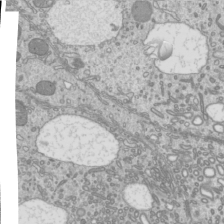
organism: Mouse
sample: Cilia; mouse epididymis